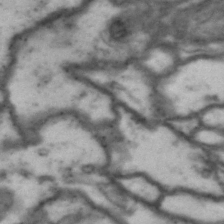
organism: Drosophila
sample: Brain